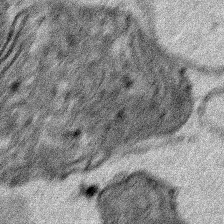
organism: Human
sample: Mitochondria in HCT116 cells